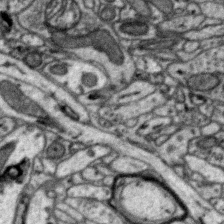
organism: Zebra finch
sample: Brain